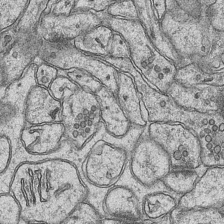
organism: Mouse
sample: CA1 Hippocampus